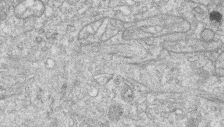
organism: Human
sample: HeLa cell HIV synapse